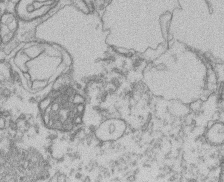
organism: Mouse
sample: T cell stromal cell synapse